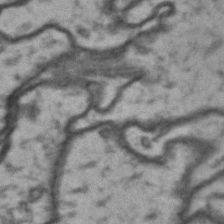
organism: Drosophila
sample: Brain